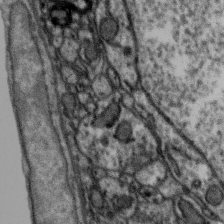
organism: Zebra finch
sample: Brain